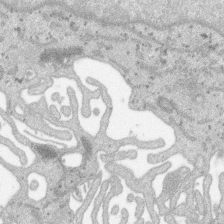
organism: Human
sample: Lung epithelial cells infected with SARS-CoV-2